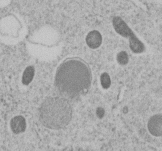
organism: C. elegans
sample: C. elegans embryo early stage